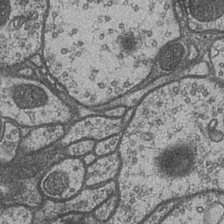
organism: Drosophila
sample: Optic medulla